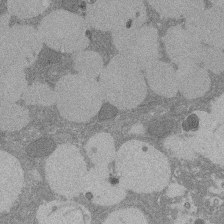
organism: Rat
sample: Salivary granule